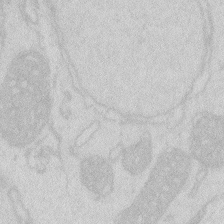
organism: Zebrafish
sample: Macrophage